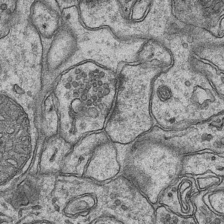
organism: Mouse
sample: CA1 Hippocampus